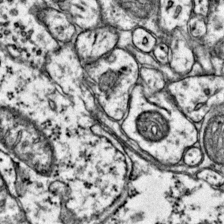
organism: Mouse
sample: Primary visual cortex